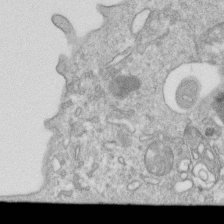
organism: Mouse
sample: Activated OT-1 CD8+ T cells